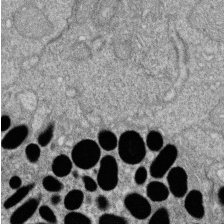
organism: Zebrafish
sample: Cilia; retinal pigment epithelium